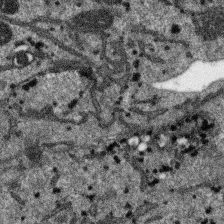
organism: Human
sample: Lung epithelial cells infected with SARS-CoV-2